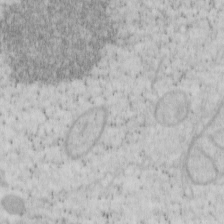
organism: Human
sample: HeLa cells